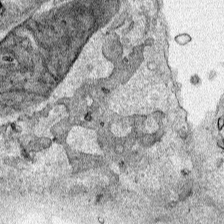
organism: Human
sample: Mitochondria in HCT116 cells